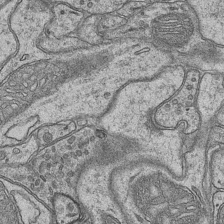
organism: Mouse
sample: CA1 Hippocampus